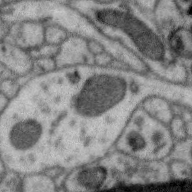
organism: Zebra finch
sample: Brain